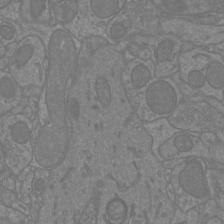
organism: Mouse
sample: Cortical neurons